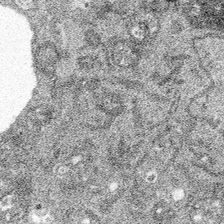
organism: Spongilla lacustris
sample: Multiple